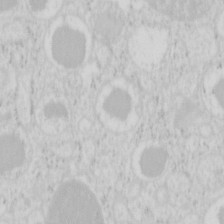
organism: Mouse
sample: Pancreas